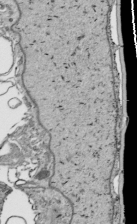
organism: Human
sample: Mitochondria in HCT116 cells